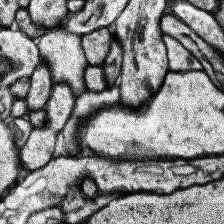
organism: Human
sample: Temporal Lobe